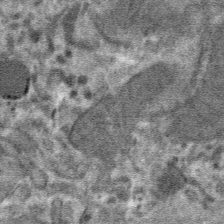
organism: Mouse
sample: Mouse hepatocytes